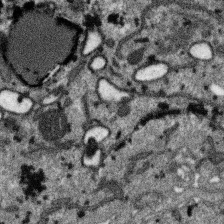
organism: Human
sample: Lung epithelial cells infected with SARS-CoV-2